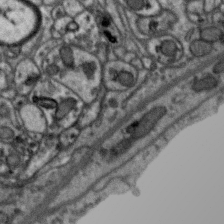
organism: Zebra finch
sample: Brain